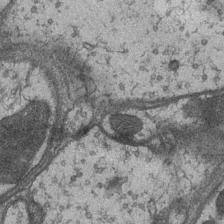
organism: Drosophila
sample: Optic medulla